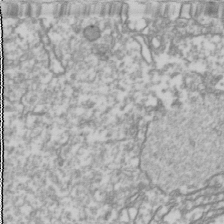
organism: Drosophila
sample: Cell division; meiosis; drosophila spermatocytes